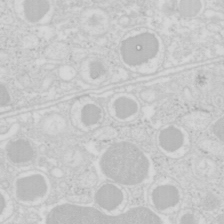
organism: Mouse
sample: Pancreas